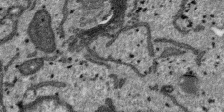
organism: Human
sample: Lung epithelial cells, uninfected (mock) control